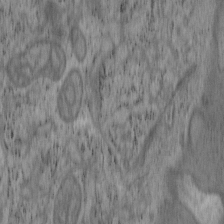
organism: Human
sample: HeLa cells